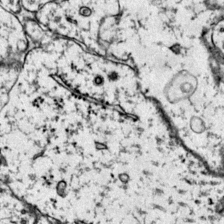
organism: Mouse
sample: Primary visual cortex